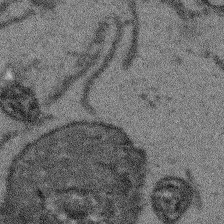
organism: Arabidopsis thaliana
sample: Root tip